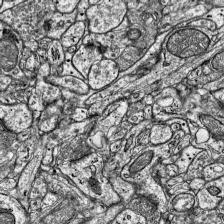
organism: Mouse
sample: Visual Cortex